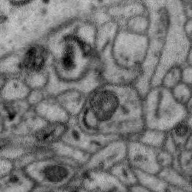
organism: Zebra finch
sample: Brain